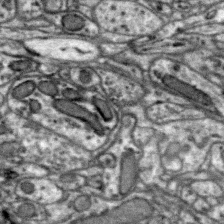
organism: Zebra finch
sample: Brain